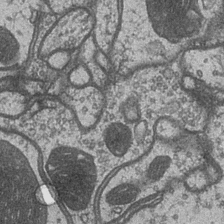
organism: Drosophila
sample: Optic medulla